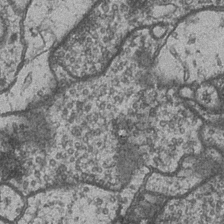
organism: Drosophila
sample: Optic medulla